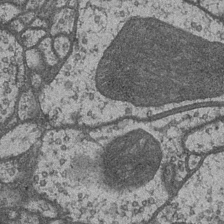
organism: Drosophila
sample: Optic medulla